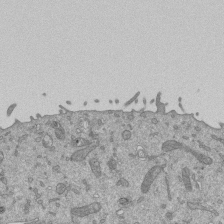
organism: Mouse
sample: ED-1 cell nuclei; centrioles